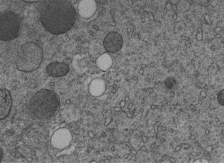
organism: C. elegans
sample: C. elegans embryo early stage